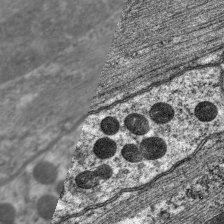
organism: C. elegans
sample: Pharynx